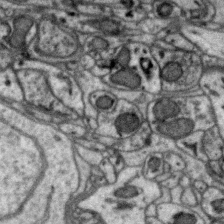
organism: Zebra finch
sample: Brain